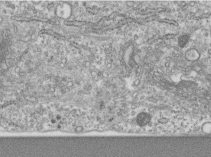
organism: Human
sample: Centriole in RPE cells